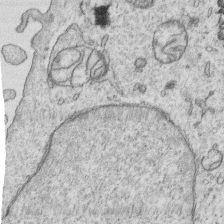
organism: Human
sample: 1205lu cells